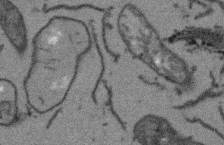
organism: Arabidopsis thaliana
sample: Root tip